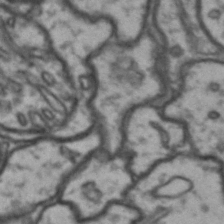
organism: Drosophila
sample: Brain